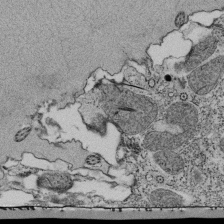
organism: Tetrahymena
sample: Cilia in tetrahymena